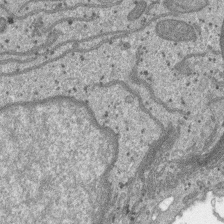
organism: Human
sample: Lung epithelial cells infected with SARS-CoV-2